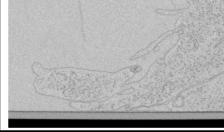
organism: Human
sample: Mitochondria in HCT116 cells